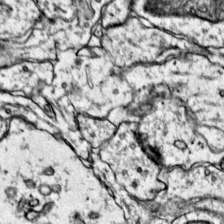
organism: Mouse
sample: Primary visual cortex